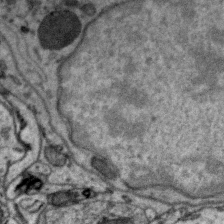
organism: Zebra finch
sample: Brain